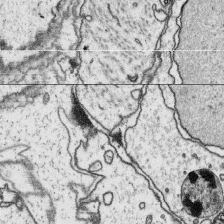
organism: Platynereis dumerilii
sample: Parapodia